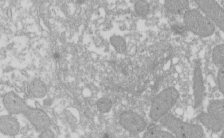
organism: Xenopus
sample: Cilia; centrioles in frog embryo cells